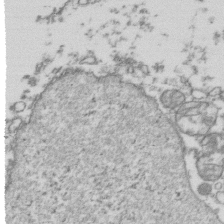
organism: Human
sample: Activated Jurkat CD4+ T cells